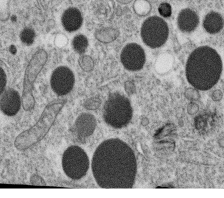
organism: C. elegans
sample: C. elegans oocyte; sperm cells